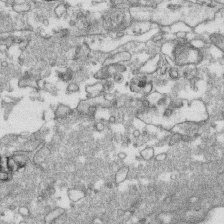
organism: Human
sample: CRL-1474